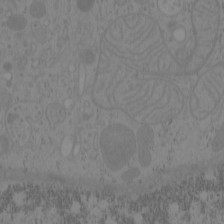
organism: Human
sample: HeLa cells